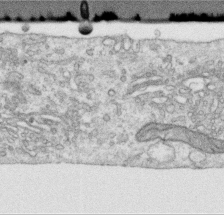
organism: Human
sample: Centriole in RPE cells